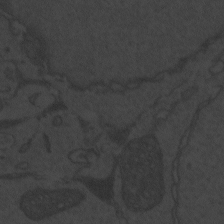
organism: Zebrafish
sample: Macrophage infected with Toxoplasma gondii